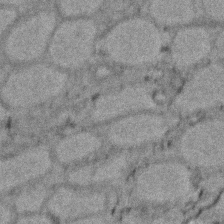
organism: Zebrafish